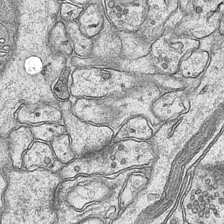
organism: Mouse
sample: CA1 Hippocampus